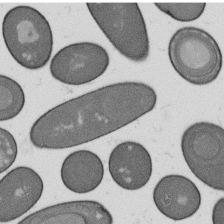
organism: B. subtilis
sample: Bacterial spore